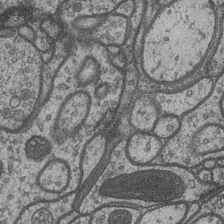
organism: Drosophila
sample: Optic medulla